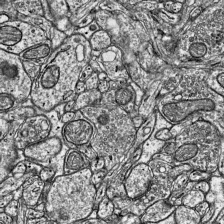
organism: Mouse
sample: Visual Cortex